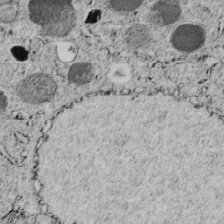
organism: C. elegans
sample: C. elegans embryo early stage